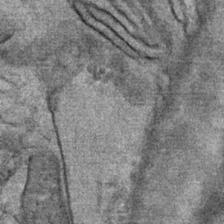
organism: Mouse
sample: Mouse Salivary gland